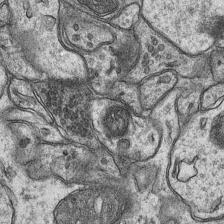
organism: Mouse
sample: CA1 Hippocampus